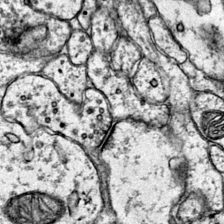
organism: Mouse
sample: Primary visual cortex